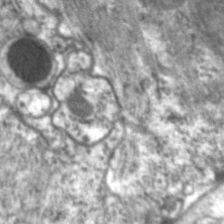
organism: C. elegans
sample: Pharynx